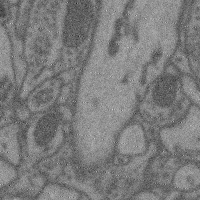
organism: Mouse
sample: Cerebral cortex